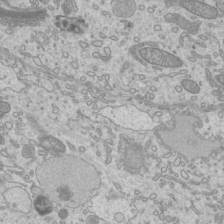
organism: Mouse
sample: Cilia; mouse epididymis